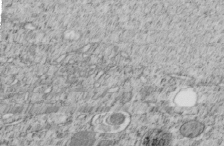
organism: C. elegans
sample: C. elegans embryo early stage